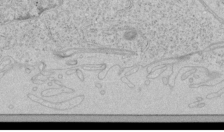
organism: Human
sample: Mitochondria in HCT116 cells